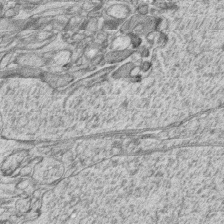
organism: Zebrafish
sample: synaptic ribbons in rod cells and cone cells